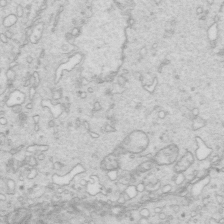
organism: Mouse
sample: Multiciliated cells